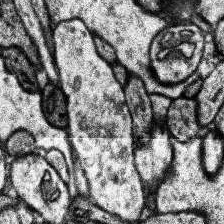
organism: Human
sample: Temporal Lobe